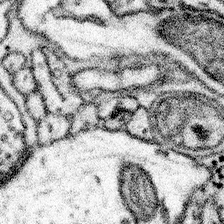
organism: Mouse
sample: Somatosensory cortex neuropil